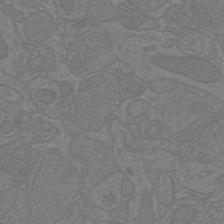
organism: Mouse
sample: Cortical neurons